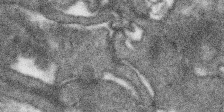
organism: Human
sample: Lung epithelial cells infected with SARS-CoV-2